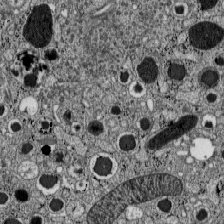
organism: C57BL Mouse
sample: Pancreatic islet